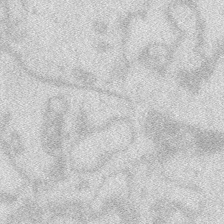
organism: Zebrafish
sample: Macrophage